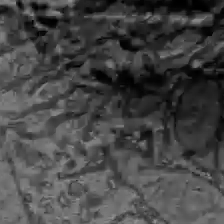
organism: C57BL Mouse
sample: Liver